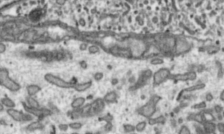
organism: Toxoplasma gondii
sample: Parasites in a vacuole inside a host cell